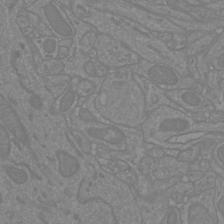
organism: Mouse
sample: Cortical neurons